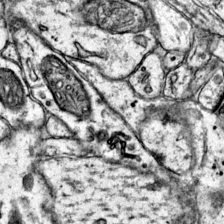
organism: Mouse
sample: Primary visual cortex